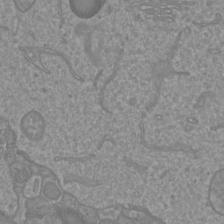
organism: Mouse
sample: Cortical neurons